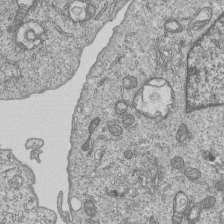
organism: Human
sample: MDA-MB-231 cells